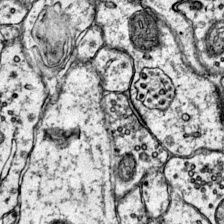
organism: Mouse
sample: Primary visual cortex